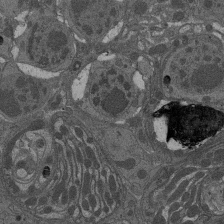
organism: Drosophila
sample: Antenna